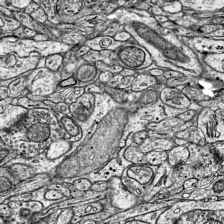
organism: Mouse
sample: Visual Cortex